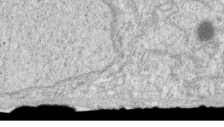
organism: Human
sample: HeLa cell HIV synapse